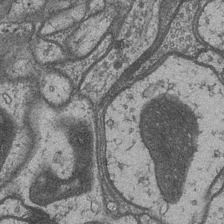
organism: Drosophila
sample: Optic medulla